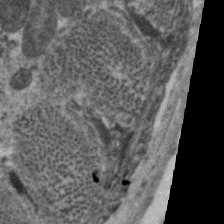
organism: C. elegans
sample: Pharynx